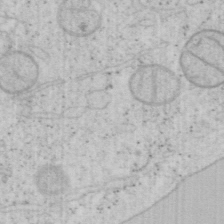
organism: Human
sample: HeLa cells